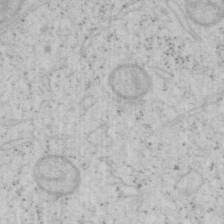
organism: Human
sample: HeLa cells